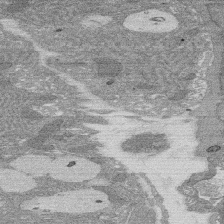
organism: Rat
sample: Salivary granule